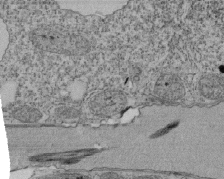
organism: Tetrahymena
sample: Cilia in tetrahymena